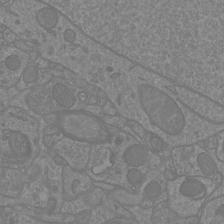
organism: Mouse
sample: Cortical neurons